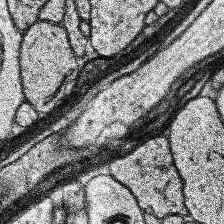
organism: Human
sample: Temporal Lobe